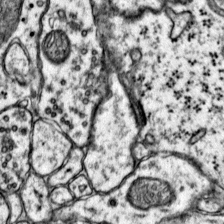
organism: Mouse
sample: Primary visual cortex